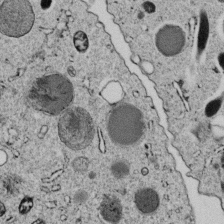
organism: C. elegans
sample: C. elegans embryo early stage